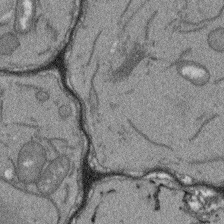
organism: Arabidopsis thaliana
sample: Root tip